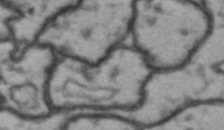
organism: Drosophila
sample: Brain